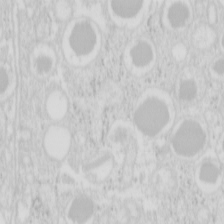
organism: Mouse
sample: Pancreas